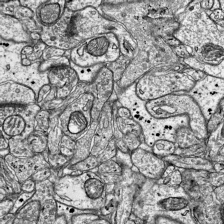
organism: Mouse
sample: Visual Cortex